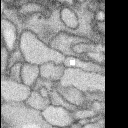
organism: Rabbit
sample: Retina